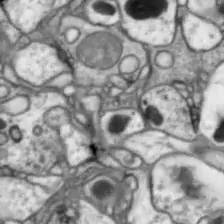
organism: Drosophila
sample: Optic lobe